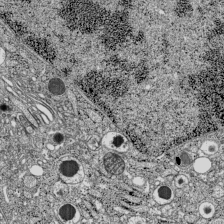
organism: C57BL Mouse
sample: Pancreatic islet